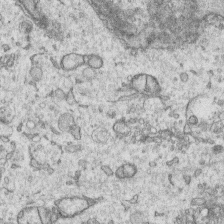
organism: Human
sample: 1205lu cells